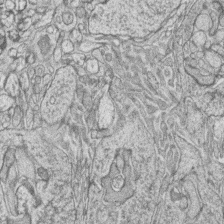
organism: Zebrafish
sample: synaptic ribbons in rod cells and cone cells